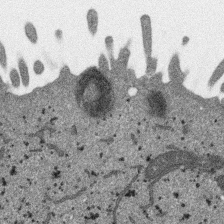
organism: Human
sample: Lung epithelial cells infected with SARS-CoV-2